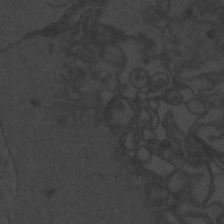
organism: Zebrafish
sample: Macrophage infected with Toxoplasma gondii